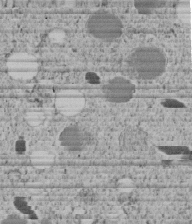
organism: C. elegans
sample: C. elegans embryo early stage